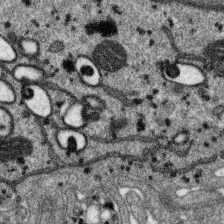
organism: Human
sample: Lung epithelial cells infected with SARS-CoV-2